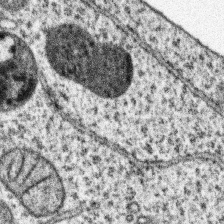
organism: Human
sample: HeLa cells